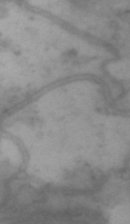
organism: Drosophila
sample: Brain